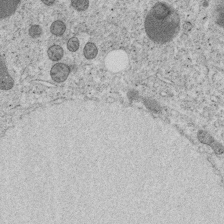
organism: C. elegans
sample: C. elegans embryo early stage